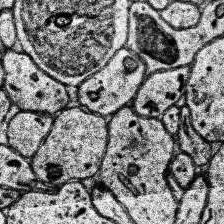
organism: Human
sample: Temporal Lobe